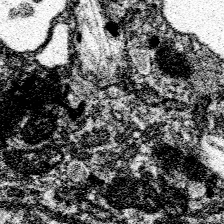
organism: Spongilla lacustris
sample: Neuroid cell